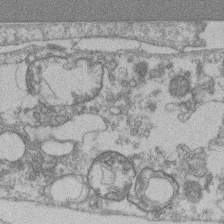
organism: Mouse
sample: T cell stromal cell synapse